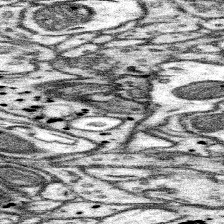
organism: Mouse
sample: Somatosensory cortex neuropil